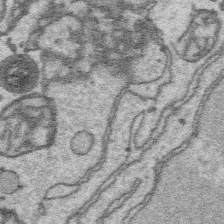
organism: Platynereis dumerilii